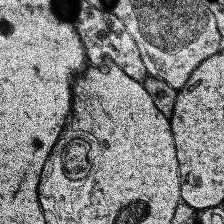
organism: Human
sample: Temporal Lobe